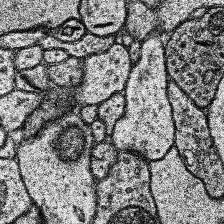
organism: Human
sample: Temporal Lobe